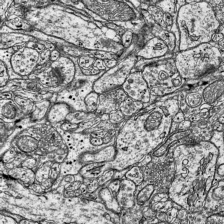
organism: Mouse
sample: Visual Cortex